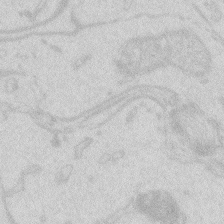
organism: Zebrafish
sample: Macrophage